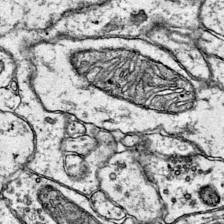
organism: Mouse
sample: Primary visual cortex